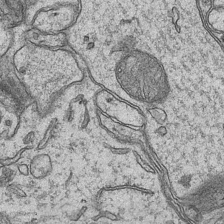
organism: Mouse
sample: CA1 Hippocampus